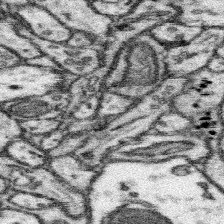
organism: Mouse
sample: Somatosensory cortex neuropil